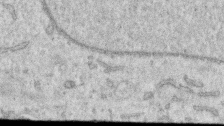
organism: Human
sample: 1205lu cells